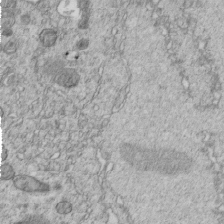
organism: C. elegans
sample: C. elegans embryo early stage